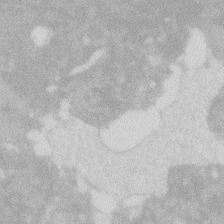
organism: Zebrafish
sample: Macrophage